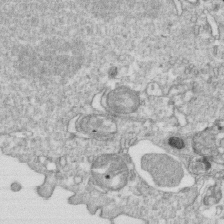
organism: Mouse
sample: Activated OT-1 CD8+ T cells